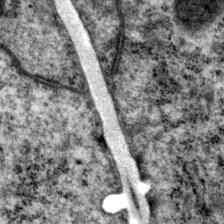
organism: P. pacificus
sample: Pharynx